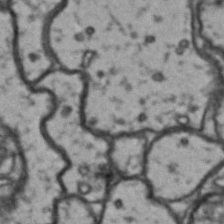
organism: Drosophila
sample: Brain